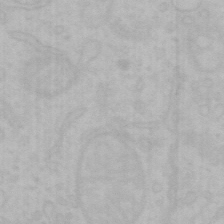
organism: Mouse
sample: Choroid plexus